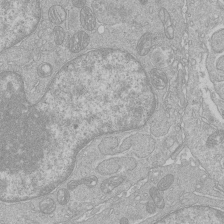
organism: Human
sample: Macrophage cells